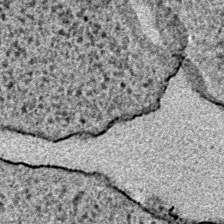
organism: E. coli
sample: E. Coli Bacteria